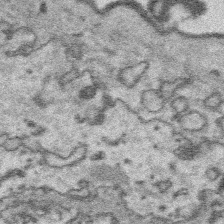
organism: Platynereis dumerilii